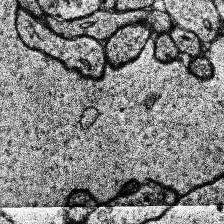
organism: Human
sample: Temporal Lobe